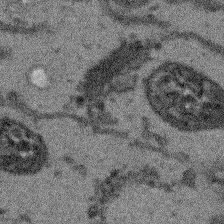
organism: Arabidopsis thaliana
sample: Root tip